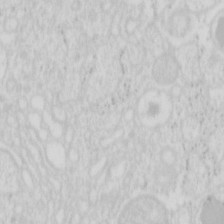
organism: Mouse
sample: Pancreas